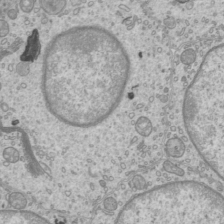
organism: Mouse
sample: Cilia; mouse epididymis